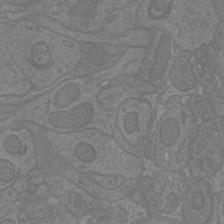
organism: Mouse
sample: Cortical neurons